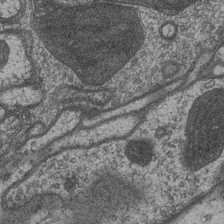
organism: Drosophila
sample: Optic medulla